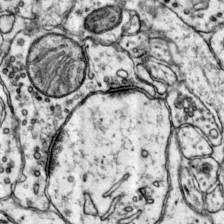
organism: Mouse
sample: Primary visual cortex